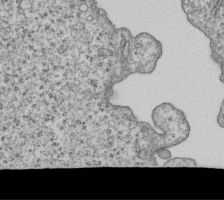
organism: Human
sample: MDA-MB-231 cells